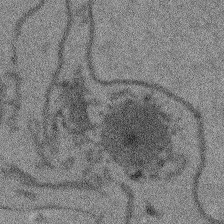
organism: Arabidopsis thaliana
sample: Root tip